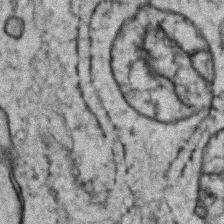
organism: Zebrafish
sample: Zebrafish embryo